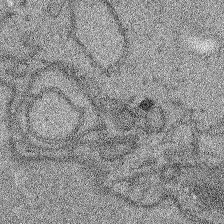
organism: Human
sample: HeLa cells